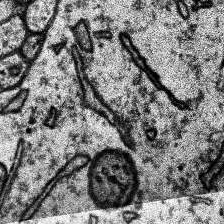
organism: Human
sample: Temporal Lobe